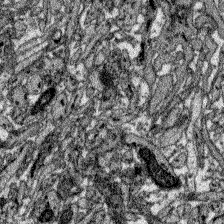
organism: Zebrafish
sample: Larval olfactory bulb